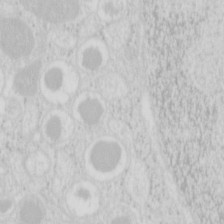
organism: Mouse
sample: Pancreas